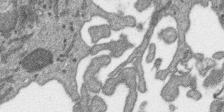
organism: Human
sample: Lung epithelial cells infected with SARS-CoV-2